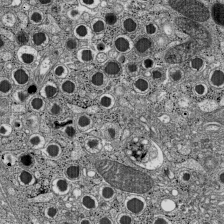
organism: C57BL Mouse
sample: Pancreatic islet